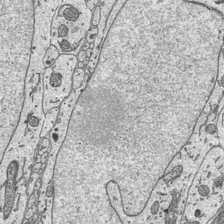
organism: Mouse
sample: Suprachiasmatic nucleus